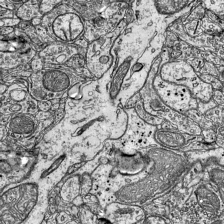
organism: Mouse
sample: Visual Cortex